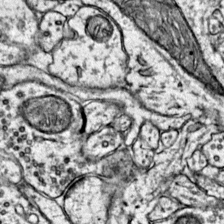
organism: Mouse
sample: Primary visual cortex